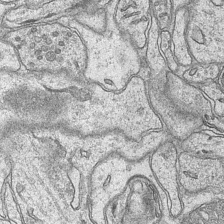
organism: Mouse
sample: CA1 Hippocampus